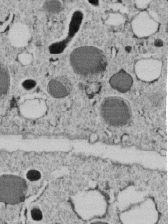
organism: C. elegans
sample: C. elegans embryo early stage